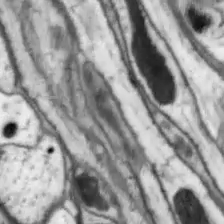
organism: Drosophila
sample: Optic lobe